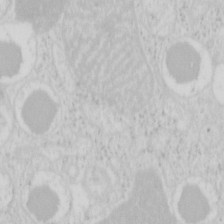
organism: Mouse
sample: Pancreas